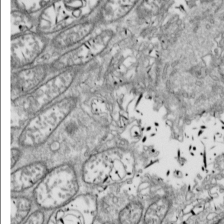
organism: Drosophila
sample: Cell division; meiosis; drosophila spermatocytes